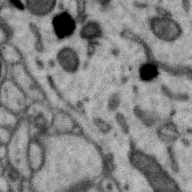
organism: Zebra finch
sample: Brain